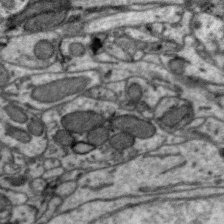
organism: Zebra finch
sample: Brain